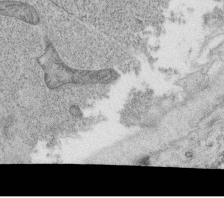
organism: C. elegans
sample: C. elegans oocyte; sperm cells